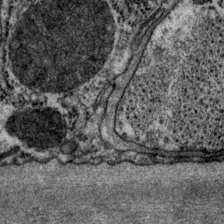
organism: P. pacificus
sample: Pharynx